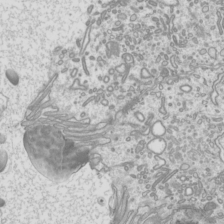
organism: Mouse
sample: Cilia; mouse epididymis